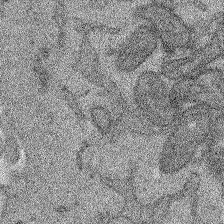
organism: Human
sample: HeLa cells